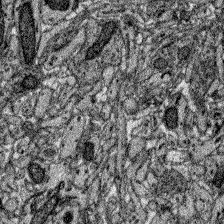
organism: Zebrafish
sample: Larval olfactory bulb